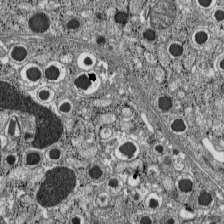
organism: C57BL Mouse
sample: Pancreatic islet